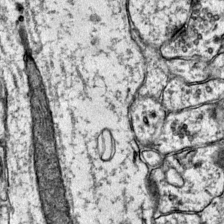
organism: Mouse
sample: Primary visual cortex